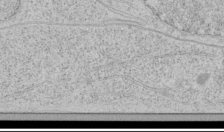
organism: Human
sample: Mitochondria in HCT116 cells